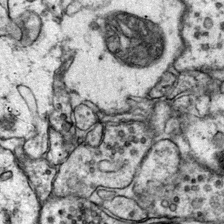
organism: Mouse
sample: Primary visual cortex